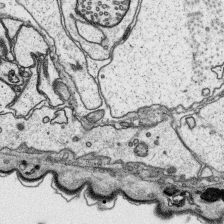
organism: Platynereis dumerilii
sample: Parapodia